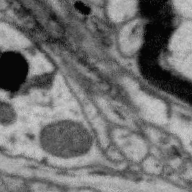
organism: Zebra finch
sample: Brain